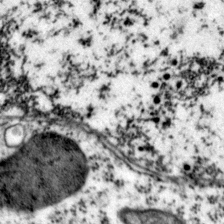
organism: Mouse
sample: Primary visual cortex